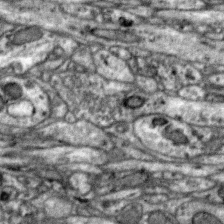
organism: Zebra finch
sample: Brain